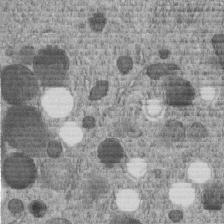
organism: C. elegans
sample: C. elegans embryo early stage